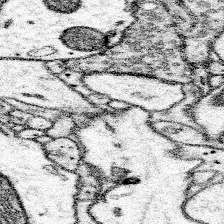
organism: Mouse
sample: Somatosensory cortex neuropil